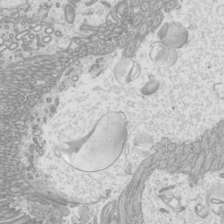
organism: Mouse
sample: Cilia; mouse epididymis